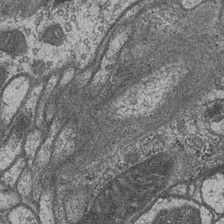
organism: Drosophila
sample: Optic medulla